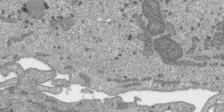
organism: Human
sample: Lung epithelial cells infected with SARS-CoV-2